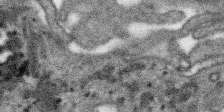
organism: Human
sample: Lung epithelial cells infected with SARS-CoV-2